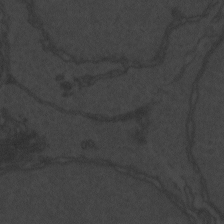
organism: Zebrafish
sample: Macrophage infected with Toxoplasma gondii